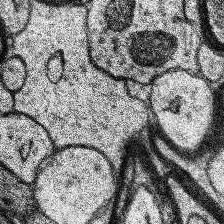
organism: Human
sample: Temporal Lobe